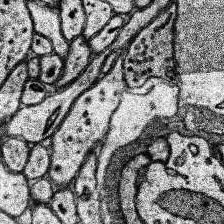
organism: Human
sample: Temporal Lobe